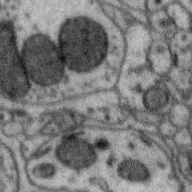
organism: Zebra finch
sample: Brain